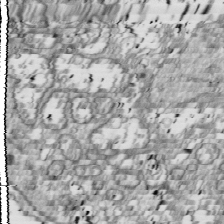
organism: Drosophila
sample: Cell division; meiosis; drosophila spermatocytes